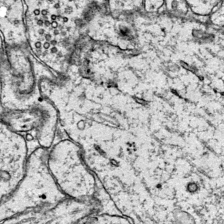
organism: Mouse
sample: Primary visual cortex